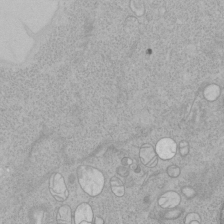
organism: Human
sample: Mitochondria in HCT116 cells